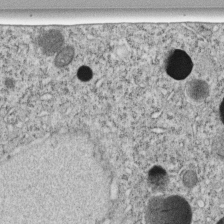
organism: C. elegans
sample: C. elegans embryo early stage